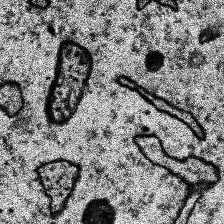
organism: Human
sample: Temporal Lobe